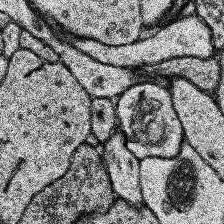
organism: Human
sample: Temporal Lobe